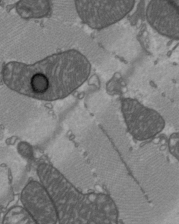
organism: C57BL Mouse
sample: Heart